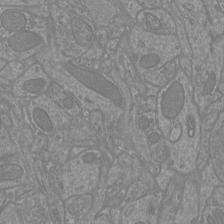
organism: Mouse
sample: Cortical neurons